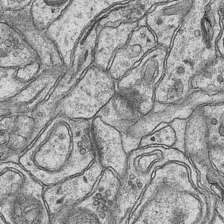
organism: Mouse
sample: CA1 Hippocampus